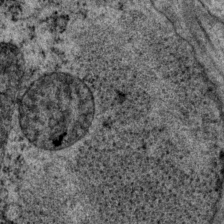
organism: P. pacificus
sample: Pharynx